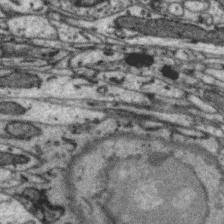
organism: Zebra finch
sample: Brain